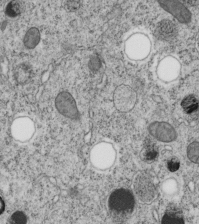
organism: C. elegans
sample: C. elegans embryo early stage